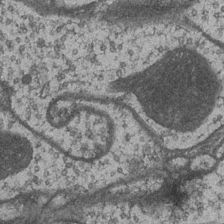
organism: Drosophila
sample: Optic medulla